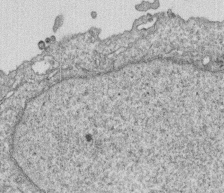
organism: Human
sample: HeLa cell HIV synapse